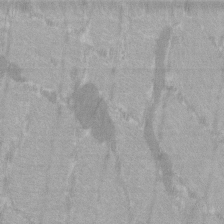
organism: C57BL Mouse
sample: Tibialis anterior muscle cell